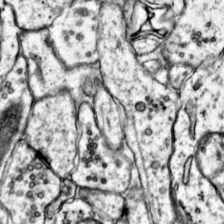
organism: Mouse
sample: Primary visual cortex